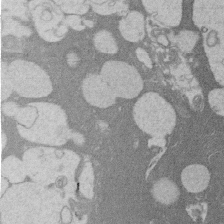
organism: Rat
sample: Salivary granule